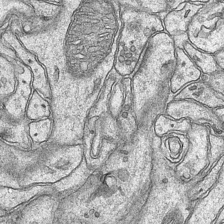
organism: Mouse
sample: CA1 Hippocampus